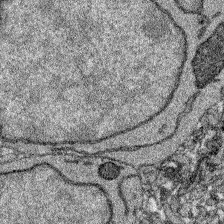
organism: Zebrafish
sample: Larval olfactory bulb